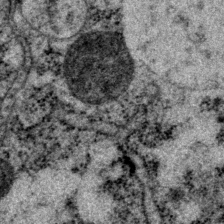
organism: P. pacificus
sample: Pharynx